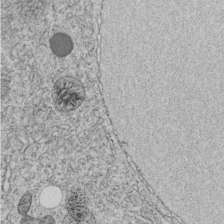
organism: C. elegans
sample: C. elegans embryo early stage